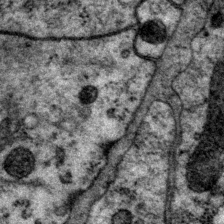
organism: P. pacificus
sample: Pharynx